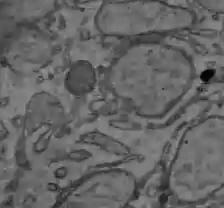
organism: C57BL Mouse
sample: Liver